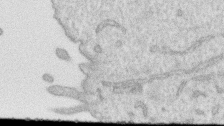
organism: Human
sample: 1205lu cells